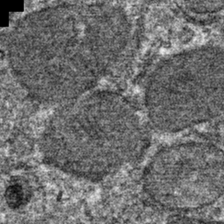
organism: Mouse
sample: Mouse hepatocytes